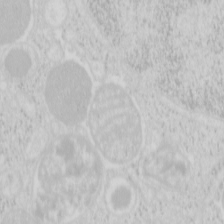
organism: Mouse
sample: Pancreas